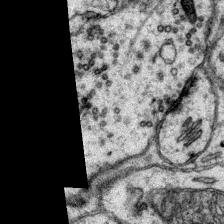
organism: Mouse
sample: Primary visual cortex